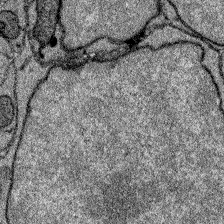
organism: Zebrafish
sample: Larval olfactory bulb